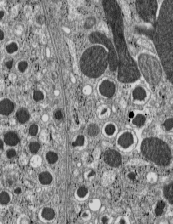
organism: C57BL Mouse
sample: Pancreatic islet